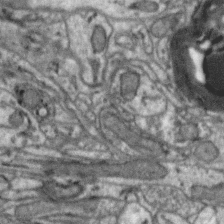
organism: Zebra finch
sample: Brain